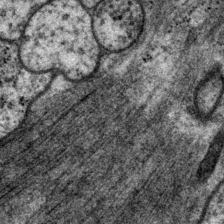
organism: P. pacificus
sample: Pharynx